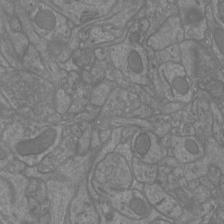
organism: Mouse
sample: Cortical neurons